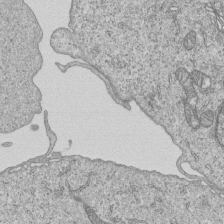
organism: Human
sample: MDA-MB-231 cells